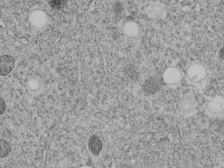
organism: C. elegans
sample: C. elegans embryo early stage